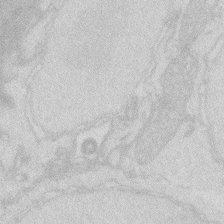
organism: Zebrafish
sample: Macrophage